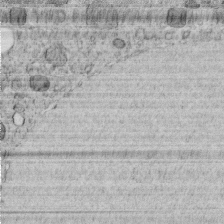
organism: C. elegans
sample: C. elegans embryo early stage